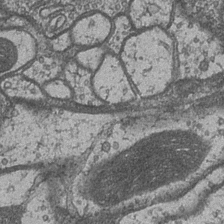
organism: Drosophila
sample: Optic medulla